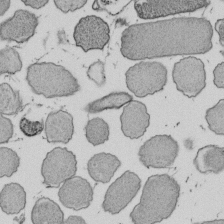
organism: E. coli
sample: Bacterial nucleoid